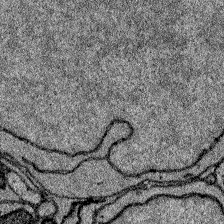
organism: Zebrafish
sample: Larval olfactory bulb